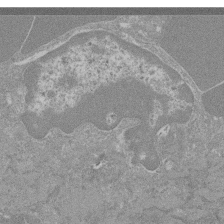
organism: Mouse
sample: Glomerulus